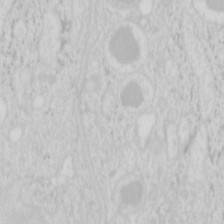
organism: Mouse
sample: Pancreas